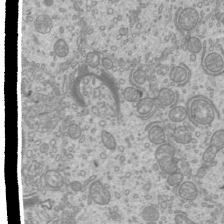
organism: Mouse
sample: Cilia; mouse epididymis